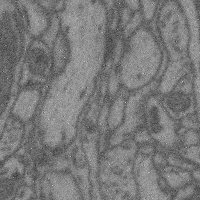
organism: Mouse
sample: Cerebral cortex